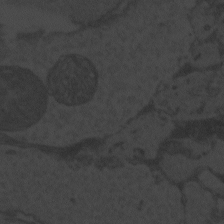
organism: Zebrafish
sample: Macrophage infected with Toxoplasma gondii